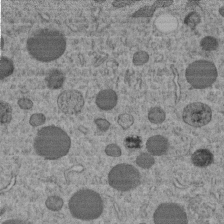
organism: C. elegans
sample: C. elegans embryo early stage